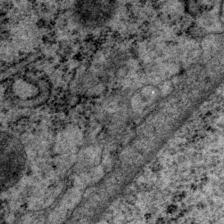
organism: P. pacificus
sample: Pharynx